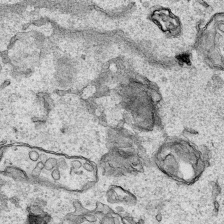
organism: Human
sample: Mitochondria in HCT116 cells